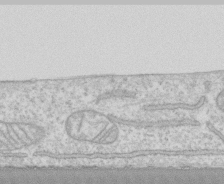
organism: Human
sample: CRL-1474